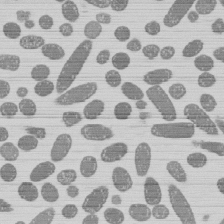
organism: E. coli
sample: Bacterial nucleoid